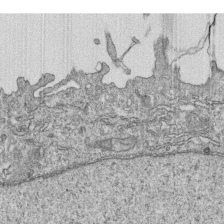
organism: Human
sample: HeLa cell HIV synapse